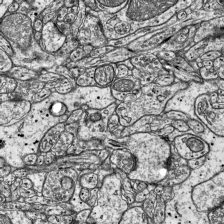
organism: Mouse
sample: Visual Cortex